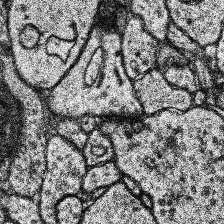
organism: Human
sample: Temporal Lobe